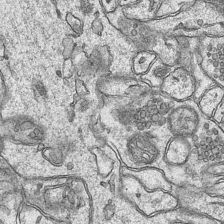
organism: Mouse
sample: CA1 Hippocampus